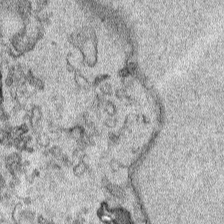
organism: Human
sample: Mitochondria in HCT116 cells